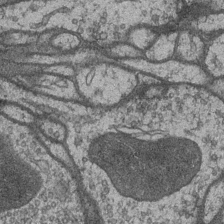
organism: Drosophila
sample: Optic medulla